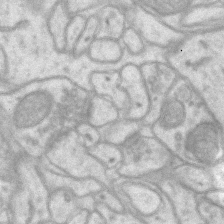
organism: Mouse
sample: CA1 Hippocampus